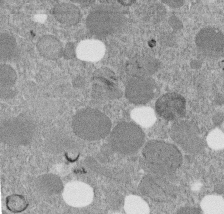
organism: C. elegans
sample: C. elegans embryo early stage